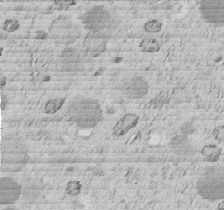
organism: C. elegans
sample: C. elegans embryo early stage